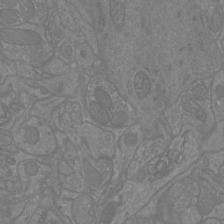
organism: Mouse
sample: Cortical neurons